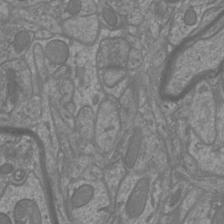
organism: Mouse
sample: Cortical neurons